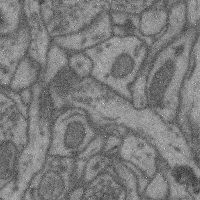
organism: Mouse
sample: Cerebral cortex